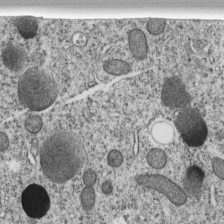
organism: C. elegans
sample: C. elegans embryo early stage